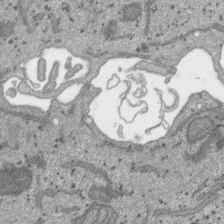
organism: Human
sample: Lung epithelial cells infected with SARS-CoV-2